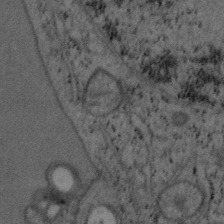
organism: Human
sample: HeLa cells